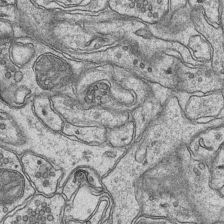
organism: Mouse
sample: CA1 Hippocampus